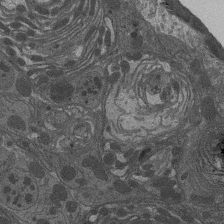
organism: Drosophila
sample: Antenna